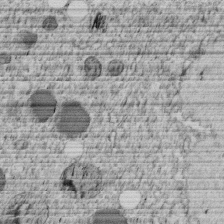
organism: C. elegans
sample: C. elegans embryo early stage